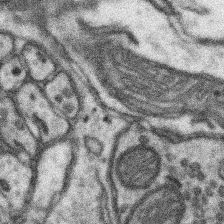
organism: Mouse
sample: Somatosensory cortex neuropil